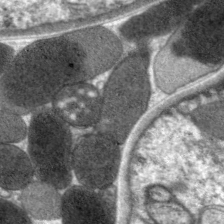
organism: C. elegans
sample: Pharynx